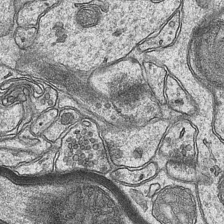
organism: Mouse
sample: CA1 Hippocampus